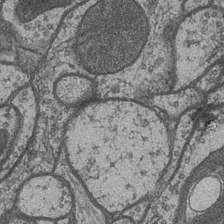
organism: Drosophila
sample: Optic medulla